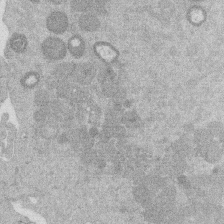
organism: Mouse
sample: Dividing mouse embryo 1 cell stage